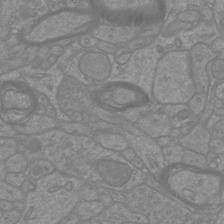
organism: Mouse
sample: Cortical neurons